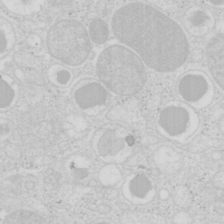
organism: Mouse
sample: Pancreas